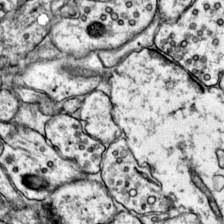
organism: Mouse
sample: Primary visual cortex